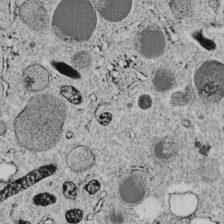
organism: C. elegans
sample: C. elegans embryo early stage